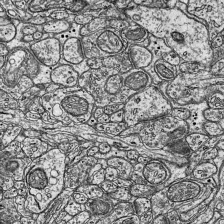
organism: Mouse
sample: Visual Cortex